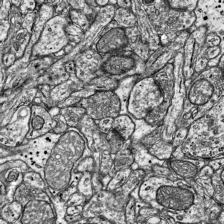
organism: Mouse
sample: Visual Cortex